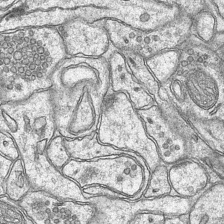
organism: Mouse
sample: CA1 Hippocampus